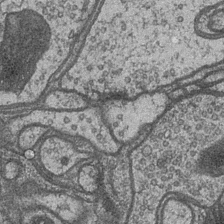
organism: Drosophila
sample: Optic medulla